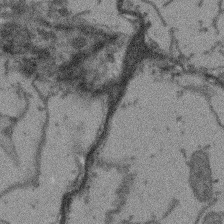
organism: Arabidopsis thaliana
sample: Root tip